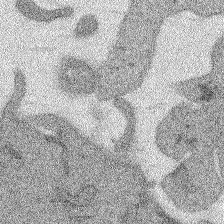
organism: Human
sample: HeLa cells